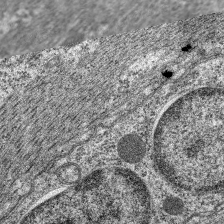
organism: C. elegans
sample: Pharynx